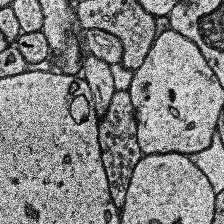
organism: Human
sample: Temporal Lobe